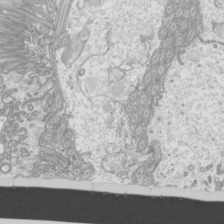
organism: Mouse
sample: Cilia; mouse epididymis